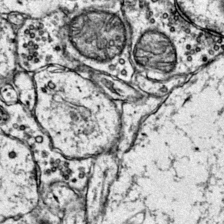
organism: Mouse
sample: Primary visual cortex